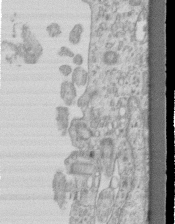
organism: Mouse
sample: Centriole in ependymal cells